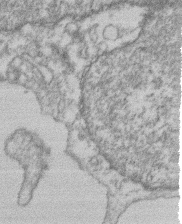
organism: Mouse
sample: T cell stromal cell synapse